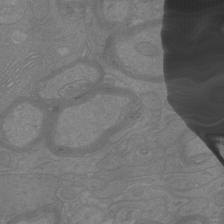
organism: Mouse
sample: Cortical neurons